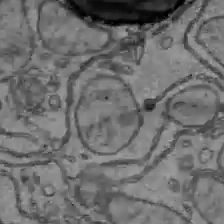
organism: C57BL Mouse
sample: Liver